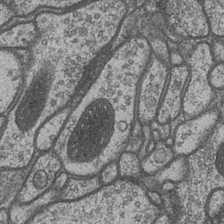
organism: Drosophila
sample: Optic medulla